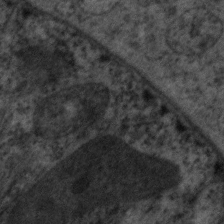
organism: C. elegans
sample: Pharynx